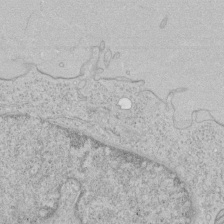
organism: Human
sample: Mitochondria in HCT116 cells